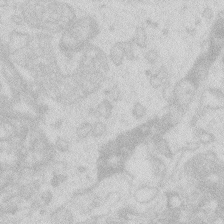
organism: Zebrafish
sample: Macrophage